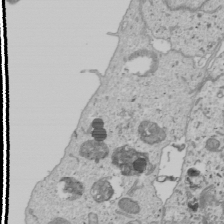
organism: Human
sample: Mitochondria in U2OS cells